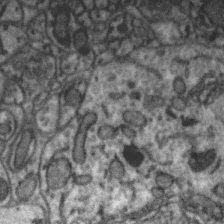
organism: Zebra finch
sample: Brain